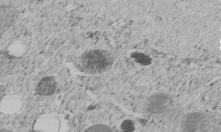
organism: C. elegans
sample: C. elegans embryo early stage